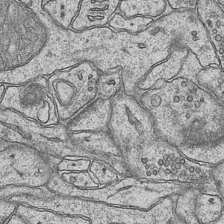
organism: Mouse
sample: CA1 Hippocampus